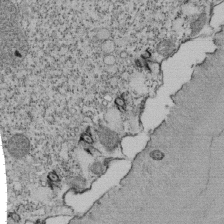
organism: Tetrahymena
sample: Cilia in tetrahymena